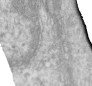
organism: Human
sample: Centriole in RPE cells